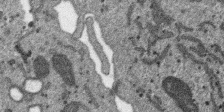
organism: Human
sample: Lung epithelial cells infected with SARS-CoV-2